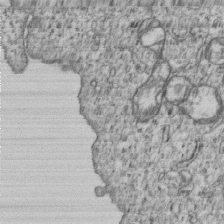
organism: Human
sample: MDA-MB-231 cells